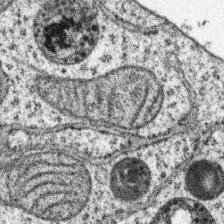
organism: Human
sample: HeLa cells